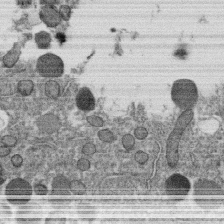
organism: C. elegans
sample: C. elegans oocyte; sperm cells